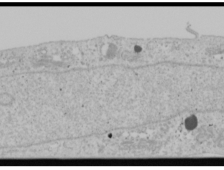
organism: Human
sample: Mitochondria in U2OS cells